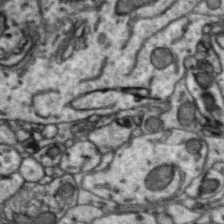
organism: Zebra finch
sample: Brain